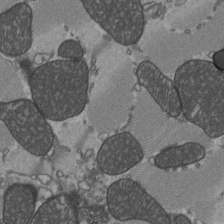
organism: C57BL Mouse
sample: Heart